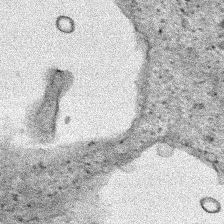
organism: Human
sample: Mitochondria in HCT116 cells